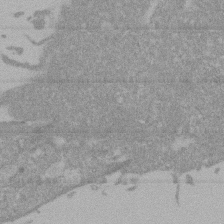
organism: Mouse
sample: ED-1 cell nuclei; centrioles